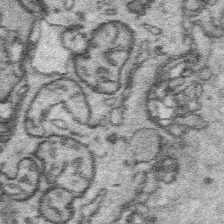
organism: Platynereis dumerilii